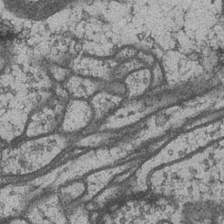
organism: Drosophila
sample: Optic medulla